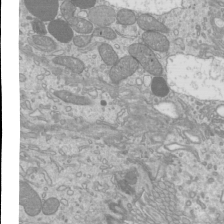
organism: Mouse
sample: Cilia; mouse epididymis